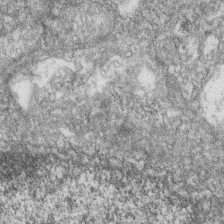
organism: Zebrafish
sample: Cilia; retinal pigment epithelium